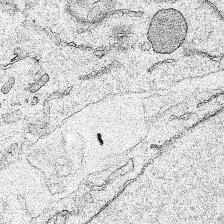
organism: Human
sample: Mitochondria in HCT116 cells